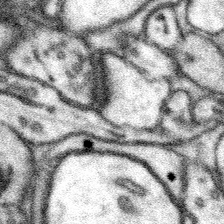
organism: Mouse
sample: Somatosensory cortex neuropil